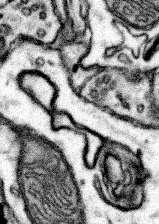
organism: Mouse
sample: Somatosensory cortex neuropil